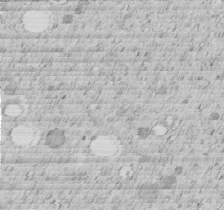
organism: C. elegans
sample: C. elegans embryo early stage